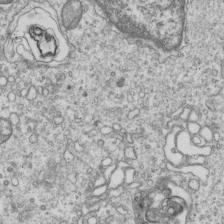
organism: Human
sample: MDA-MB-231 cells